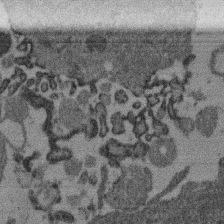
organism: Mouse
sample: Dividing mouse embryo 1 cell stage